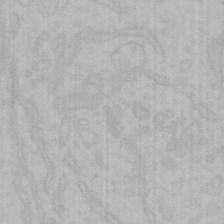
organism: Mouse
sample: Choroid plexus